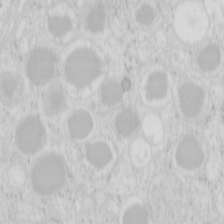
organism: Mouse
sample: Pancreas